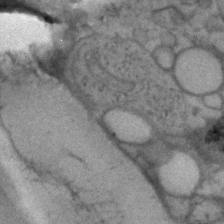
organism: Human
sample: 1205lu cells